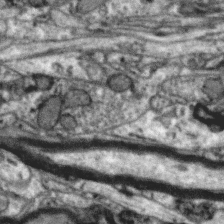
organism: Zebra finch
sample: Brain